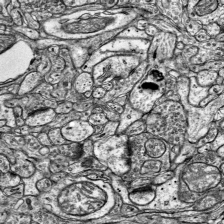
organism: Mouse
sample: Visual Cortex